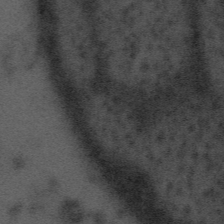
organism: Tuwongella immobilis